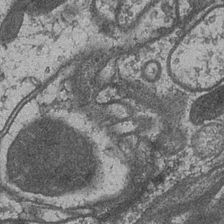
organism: Drosophila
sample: Optic medulla